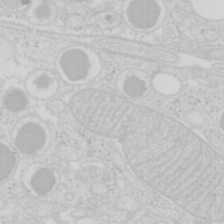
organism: Mouse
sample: Pancreas